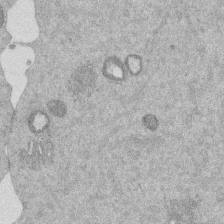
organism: Mouse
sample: Dividing mouse embryo 1 cell stage